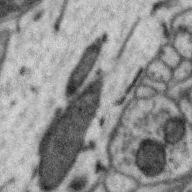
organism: Zebra finch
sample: Brain